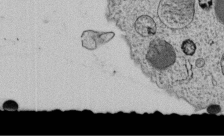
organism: C. elegans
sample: C. elegans embryo early stage